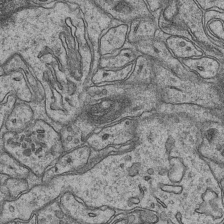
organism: Mouse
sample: CA1 Hippocampus